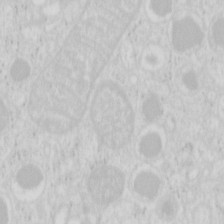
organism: Mouse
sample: Pancreas